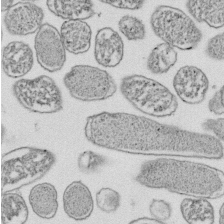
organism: E. coli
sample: Bacterial nucleoid